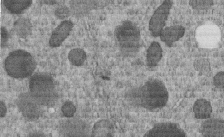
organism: C. elegans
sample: C. elegans embryo early stage